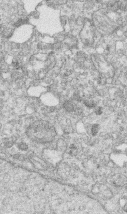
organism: Human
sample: HeLa cell HIV synapse